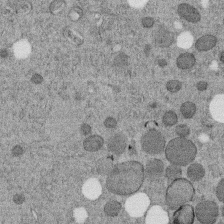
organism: C. elegans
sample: C. elegans embryo early stage